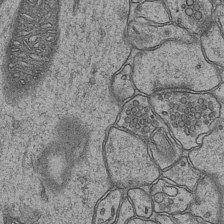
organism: Mouse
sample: CA1 Hippocampus